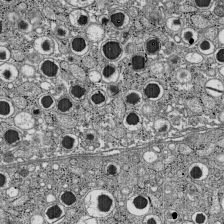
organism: C57BL Mouse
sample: Pancreatic islet